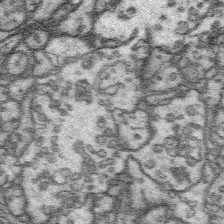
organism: Platynereis dumerilii